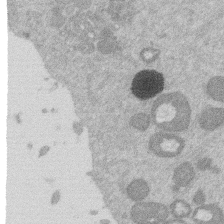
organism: Mouse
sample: Dividing mouse embryo 1 cell stage